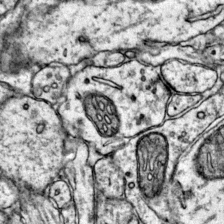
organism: Mouse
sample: Primary visual cortex